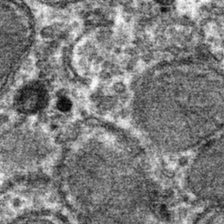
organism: Mouse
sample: Mouse hepatocytes